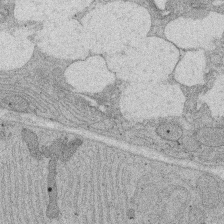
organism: Rat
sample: Salivary granule